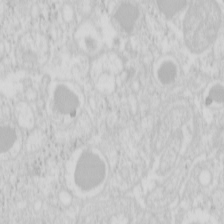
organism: Mouse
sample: Pancreas